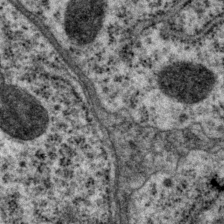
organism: P. pacificus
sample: Pharynx